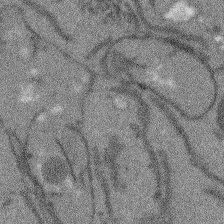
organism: Arabidopsis thaliana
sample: Root tip